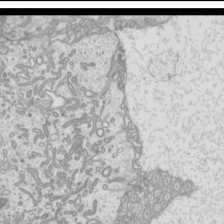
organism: Mouse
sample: Cilia; mouse epididymis